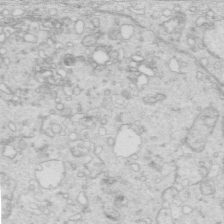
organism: Mouse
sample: Multiciliated cells